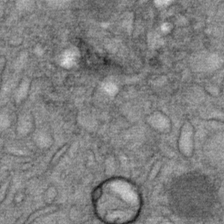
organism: Mouse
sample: Mouse Salivary gland